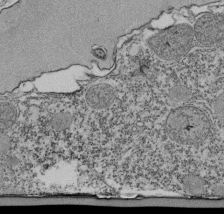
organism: Tetrahymena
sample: Cilia in tetrahymena